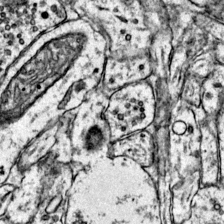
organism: Mouse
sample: Primary visual cortex